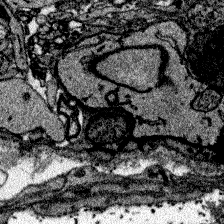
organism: Zebrafish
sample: Larval olfactory bulb